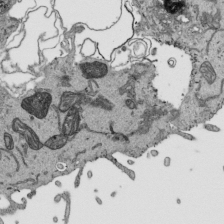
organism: Human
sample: Mitochondria in HCT116 cells